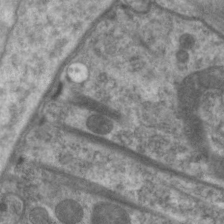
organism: C. elegans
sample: Pharynx